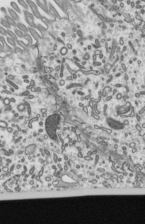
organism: Mouse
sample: Mouse epididymis efferent ductule cilia